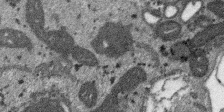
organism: Human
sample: Lung epithelial cells infected with SARS-CoV-2